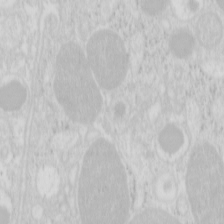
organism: Mouse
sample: Pancreas